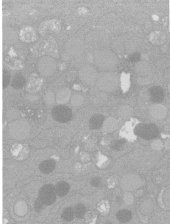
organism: C. elegans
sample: C. elegans oocyte; sperm cells